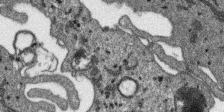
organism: Human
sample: Lung epithelial cells infected with SARS-CoV-2